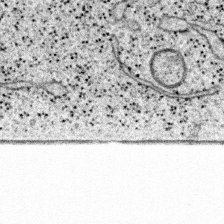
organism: Human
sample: HeLa cells